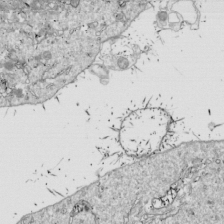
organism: Drosophila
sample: Cell division; meiosis; drosophila spermatocytes